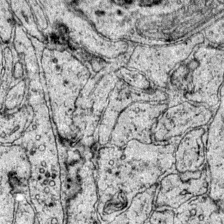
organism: Mouse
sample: Primary visual cortex